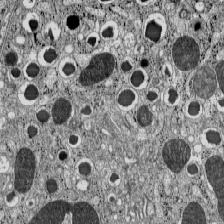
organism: C57BL Mouse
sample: Pancreatic islet